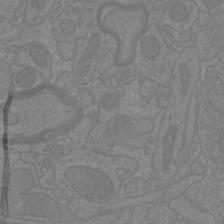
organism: Mouse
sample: Cortical neurons